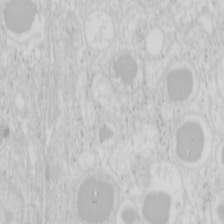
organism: Mouse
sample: Pancreas